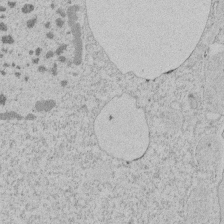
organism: Tetrahymena